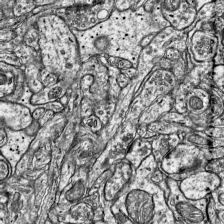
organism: Mouse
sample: Visual Cortex